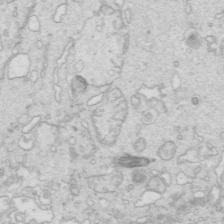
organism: Mouse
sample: Multiciliated cells